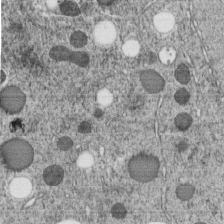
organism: C. elegans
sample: C. elegans embryo early stage